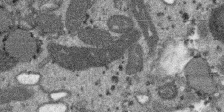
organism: Human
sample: Lung epithelial cells infected with SARS-CoV-2